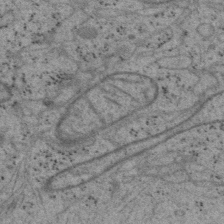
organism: Human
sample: HeLa cells